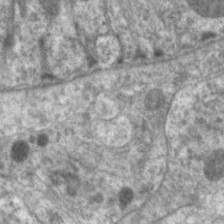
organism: C. elegans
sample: Pharynx